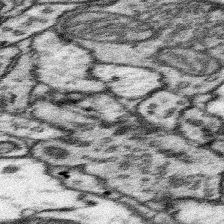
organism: Mouse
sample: Somatosensory cortex neuropil